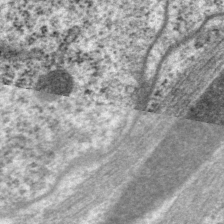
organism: P. pacificus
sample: Pharynx